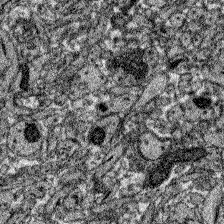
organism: Zebrafish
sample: Larval olfactory bulb